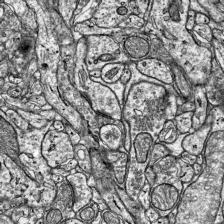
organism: Mouse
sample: Visual Cortex